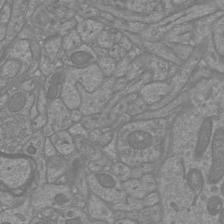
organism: Mouse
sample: Cortical neurons